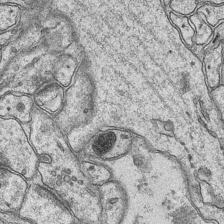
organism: Mouse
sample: CA1 Hippocampus